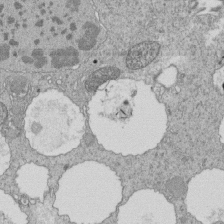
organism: Tetrahymena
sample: Cilia in tetrahymena